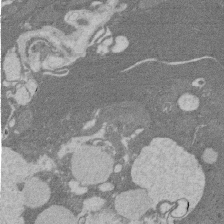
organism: Rat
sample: Salivary granule